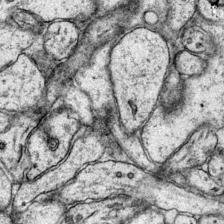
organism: Mouse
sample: Primary visual cortex